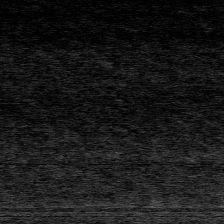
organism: Human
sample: HeLa cells